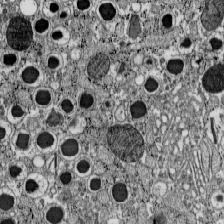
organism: C57BL Mouse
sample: Pancreatic islet